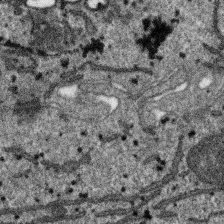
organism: Human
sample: Lung epithelial cells infected with SARS-CoV-2